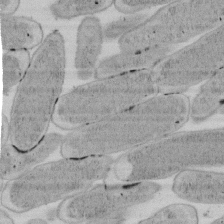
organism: E. coli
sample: Bacterial nucleoid